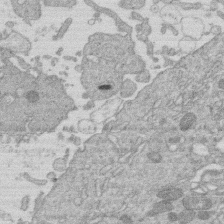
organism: Human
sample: Macrophage cells